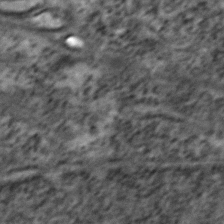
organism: Zebrafish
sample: Zebrafish embryo